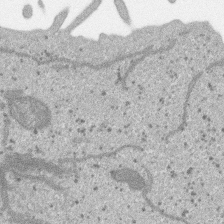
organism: Human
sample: Lung epithelial cells infected with SARS-CoV-2